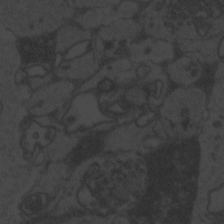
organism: Zebrafish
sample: Macrophage infected with Toxoplasma gondii